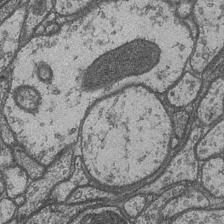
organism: Drosophila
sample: Optic medulla